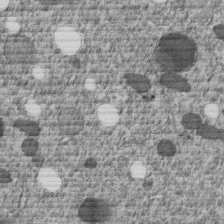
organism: C. elegans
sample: C. elegans embryo early stage